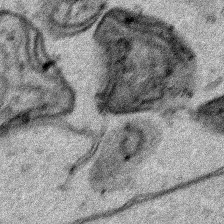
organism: Human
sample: Mitochondria in HCT116 cells